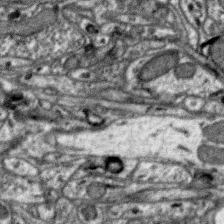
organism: Zebra finch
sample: Brain